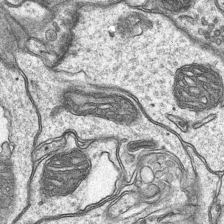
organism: Mouse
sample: CA1 Hippocampus